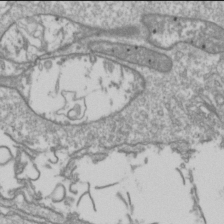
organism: Drosophila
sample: Cell division; meiosis; drosophila spermatocytes